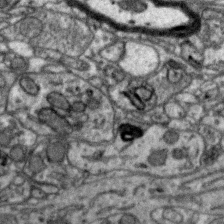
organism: Zebra finch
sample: Brain